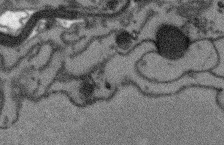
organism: Arabidopsis thaliana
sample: Root tip